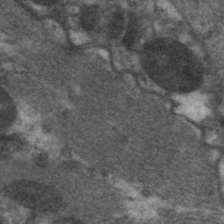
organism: C. elegans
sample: Pharynx